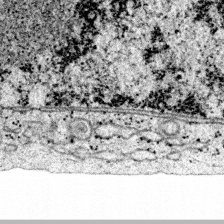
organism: Human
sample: HeLa cells